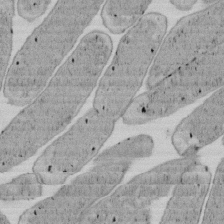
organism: E. coli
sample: Bacterial nucleoid